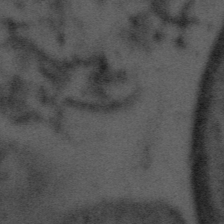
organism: Tuwongella immobilis